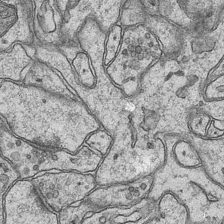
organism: Mouse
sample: CA1 Hippocampus